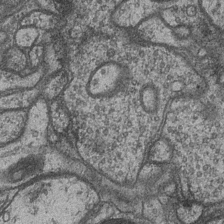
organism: Drosophila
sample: Optic medulla